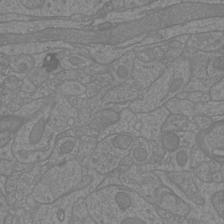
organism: Mouse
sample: Cortical neurons